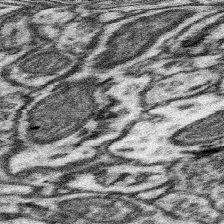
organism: Mouse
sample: Somatosensory cortex neuropil